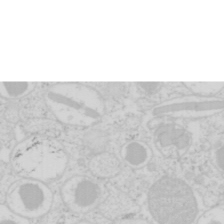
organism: Mouse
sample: Pancreas